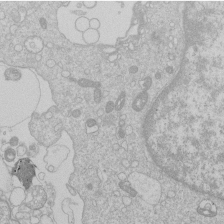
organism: Human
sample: Macrophage cells